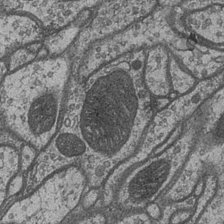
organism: Drosophila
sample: Optic medulla